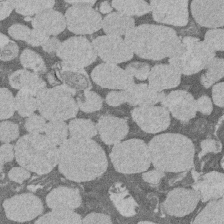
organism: Rat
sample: Salivary granule